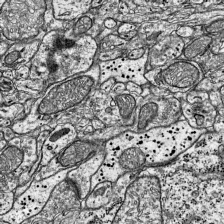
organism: Mouse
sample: Visual Cortex